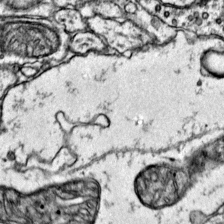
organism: Mouse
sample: Primary visual cortex